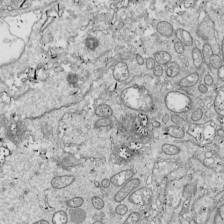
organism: Drosophila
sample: Cell division; meiosis; drosophila spermatocytes